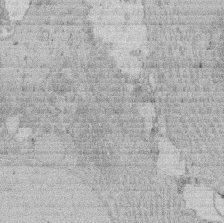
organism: Rat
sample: Salivary granule